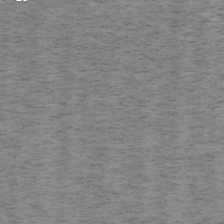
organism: Mouse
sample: OT-I killer T cells with ID8 ovarian cancer cells